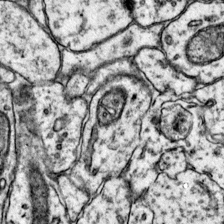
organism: Mouse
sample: Primary visual cortex